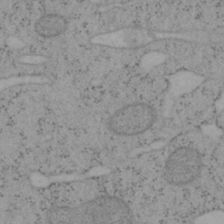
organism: Mouse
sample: OT-I killer T cells with ID8 ovarian cancer cells